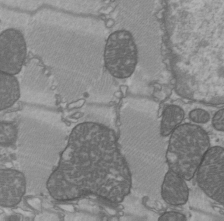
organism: C57BL Mouse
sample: Heart